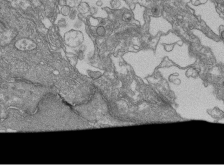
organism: Human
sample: Retinal organoid Rod and Cone cells